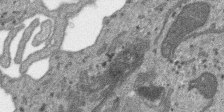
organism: Human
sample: Lung epithelial cells infected with SARS-CoV-2